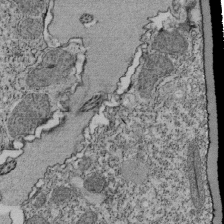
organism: Tetrahymena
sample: Cilia in tetrahymena